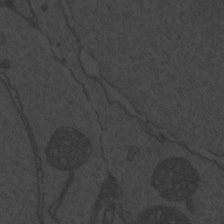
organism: Zebrafish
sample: Macrophage infected with Toxoplasma gondii